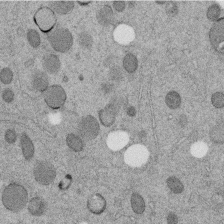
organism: C. elegans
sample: C. elegans embryo early stage